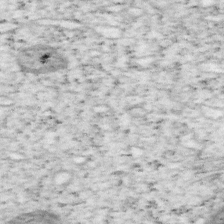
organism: Mouse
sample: OT-I killer T cells with ID8 ovarian cancer cells